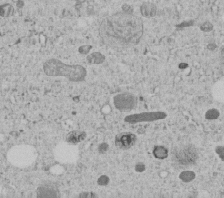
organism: C. elegans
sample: C. elegans embryo early stage